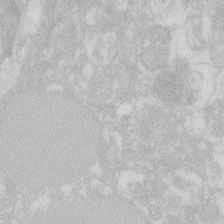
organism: Zebrafish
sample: Macrophage